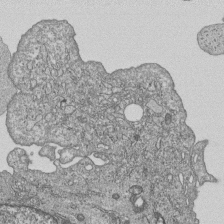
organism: Human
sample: MDA-MB-231 cells